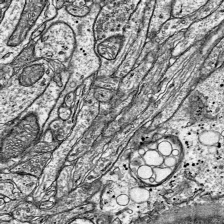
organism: Mouse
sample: Visual Cortex